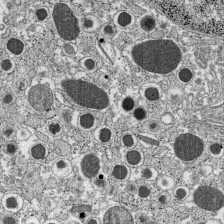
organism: C57BL Mouse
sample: Pancreatic islet